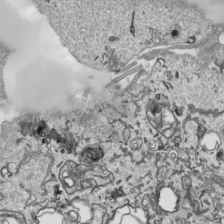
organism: Human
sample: Mitochondria in HCT116 cells